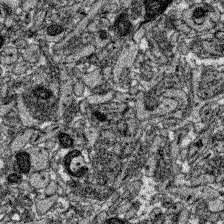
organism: Zebrafish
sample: Larval olfactory bulb